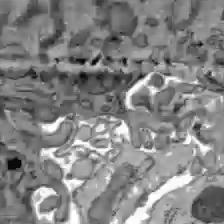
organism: C57BL Mouse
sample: Liver